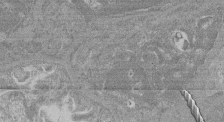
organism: Mouse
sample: Glomerulus